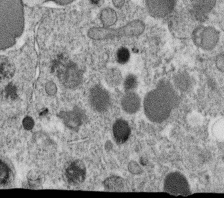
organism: C. elegans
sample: C. elegans oocyte; sperm cells